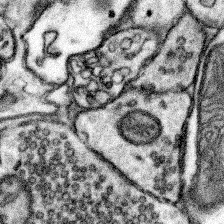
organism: Mouse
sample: Somatosensory cortex neuropil